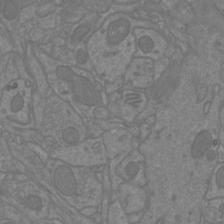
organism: Mouse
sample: Cortical neurons